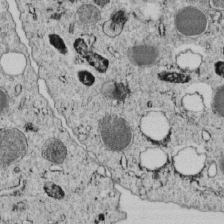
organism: C. elegans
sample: C. elegans embryo early stage